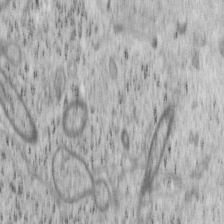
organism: Human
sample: HeLa cells